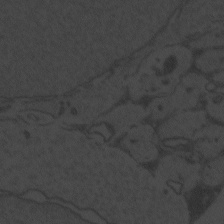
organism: Zebrafish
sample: Macrophage infected with Toxoplasma gondii